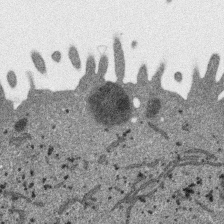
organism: Human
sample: Lung epithelial cells infected with SARS-CoV-2